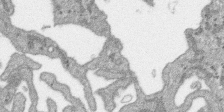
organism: Human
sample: Lung epithelial cells infected with SARS-CoV-2